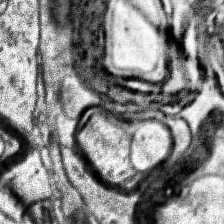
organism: Human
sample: Temporal Lobe